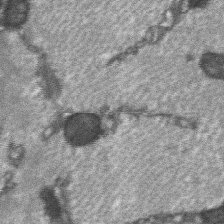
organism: C57BL Mouse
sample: Soleus